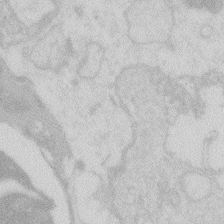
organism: Zebrafish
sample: Macrophage